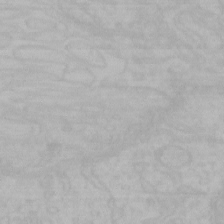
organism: Mouse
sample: Choroid plexus